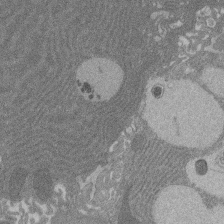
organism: Rat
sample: Salivary granule